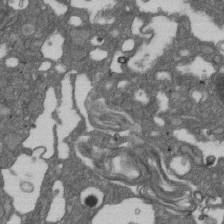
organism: Drosophila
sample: Nephrocyte